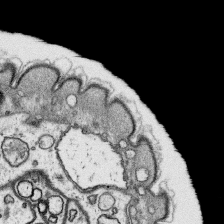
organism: Platynereis dumerilii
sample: Parapodia